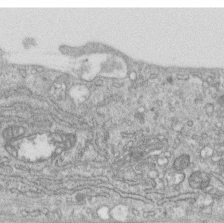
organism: Human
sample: Centriole in RPE cells